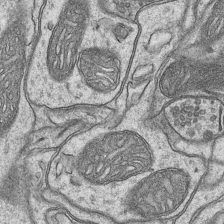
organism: Mouse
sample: CA1 Hippocampus